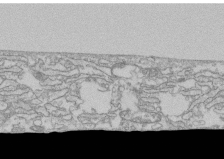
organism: Human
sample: CRL-1474